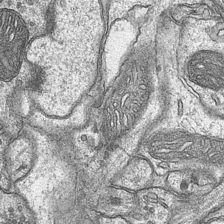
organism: Mouse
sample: CA1 Hippocampus